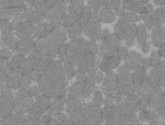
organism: C57BL Mouse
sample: Tibialis anterior muscle cell